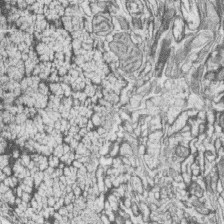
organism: Zebrafish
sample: synaptic ribbons in rod cells and cone cells